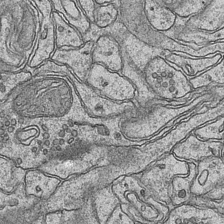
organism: Mouse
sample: CA1 Hippocampus